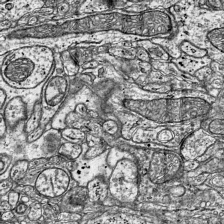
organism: Mouse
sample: Visual Cortex